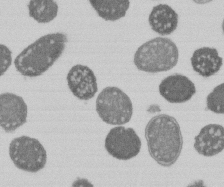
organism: E. coli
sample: Bacterial nucleoid